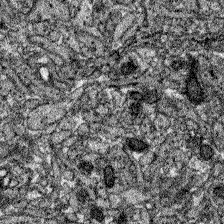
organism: Zebrafish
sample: Larval olfactory bulb